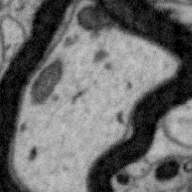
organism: Zebra finch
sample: Brain